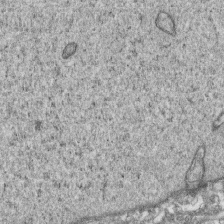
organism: Human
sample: CRL-1474